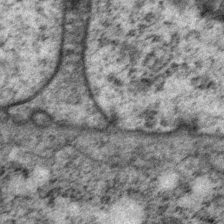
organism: P. pacificus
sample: Pharynx